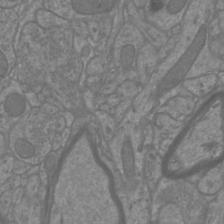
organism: Mouse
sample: Cortical neurons